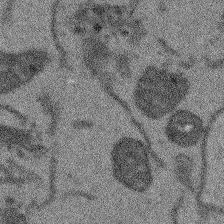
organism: Arabidopsis thaliana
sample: Root tip